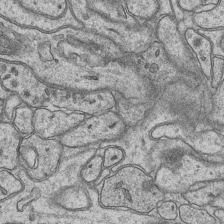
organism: Mouse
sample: CA1 Hippocampus